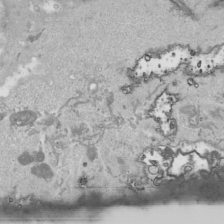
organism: Human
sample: Mitochondria in HCT116 cells